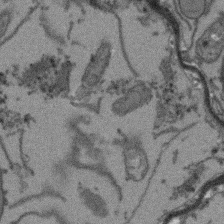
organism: Arabidopsis thaliana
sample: Root tip